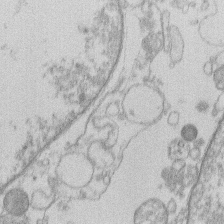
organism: Human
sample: Macrophage cells